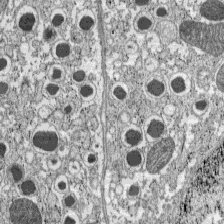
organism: C57BL Mouse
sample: Pancreatic islet